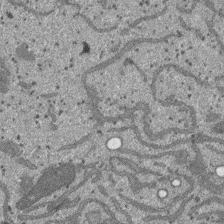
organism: Human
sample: Lung epithelial cells infected with SARS-CoV-2